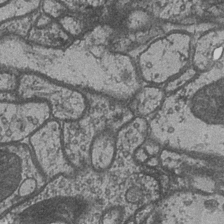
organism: Drosophila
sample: Optic medulla